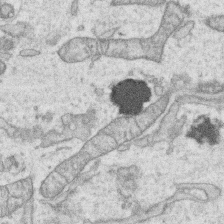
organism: Human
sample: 1205lu cells